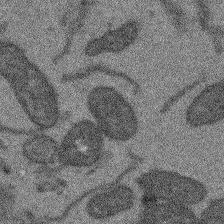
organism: Arabidopsis thaliana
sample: Root tip